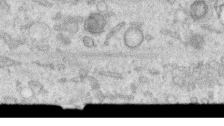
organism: Human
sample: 1205lu cells